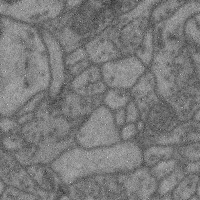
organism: Mouse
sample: Cerebral cortex